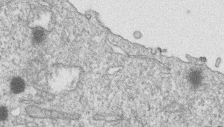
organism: Human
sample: HeLa cell HIV synapse